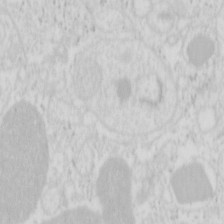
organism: Mouse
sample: Pancreas